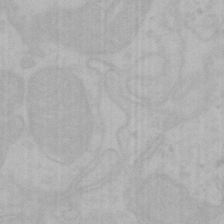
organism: Mouse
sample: Choroid plexus